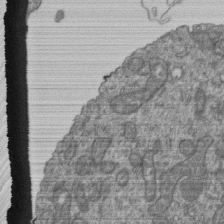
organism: Human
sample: Retinal organoid Rod and Cone cells